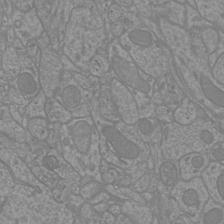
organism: Mouse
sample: Cortical neurons